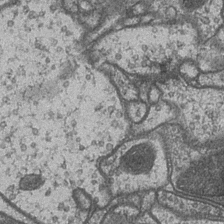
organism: Drosophila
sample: Optic medulla